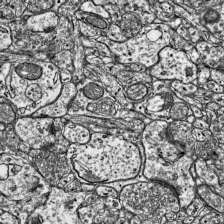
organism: Mouse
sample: Visual Cortex